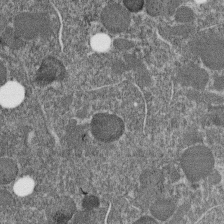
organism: C. elegans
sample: C. elegans embryo early stage